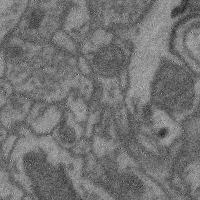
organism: Mouse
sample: Cerebral cortex